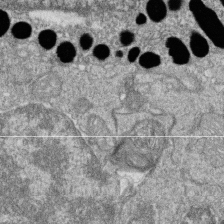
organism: Zebrafish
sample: Cilia; retinal pigment epithelium